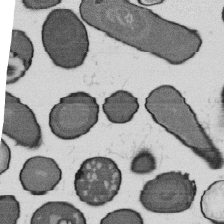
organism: B. subtilis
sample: Bacterial spore